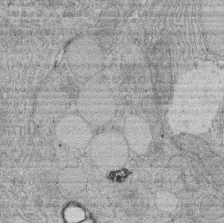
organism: Rat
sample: Salivary granule